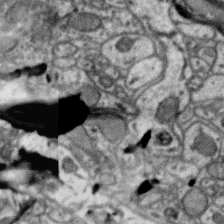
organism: Zebra finch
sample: Brain